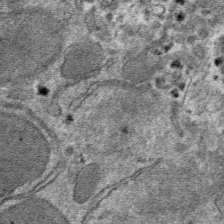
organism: Mouse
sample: Mouse hepatocytes